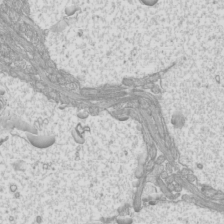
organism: Mouse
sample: Cilia; mouse epididymis